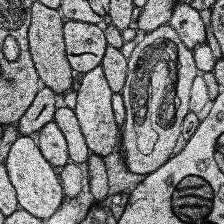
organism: Human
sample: Temporal Lobe